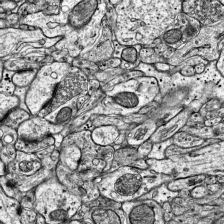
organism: Mouse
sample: Visual Cortex